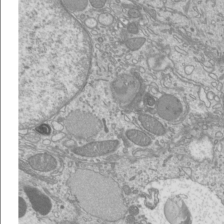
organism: Mouse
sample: Cilia; mouse epididymis